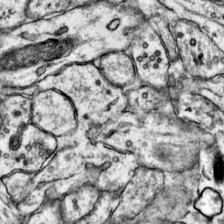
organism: Mouse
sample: Primary visual cortex